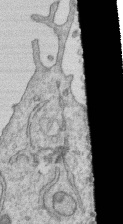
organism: Human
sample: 1205lu cells